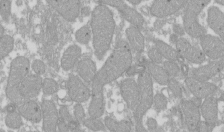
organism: Xenopus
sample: Cilia; centrioles in frog embryo cells